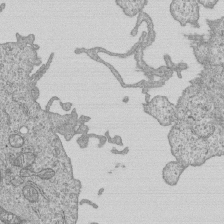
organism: Human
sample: MDA-MB-231 cells